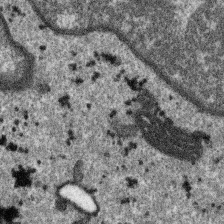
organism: Human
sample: Lung epithelial cells infected with SARS-CoV-2